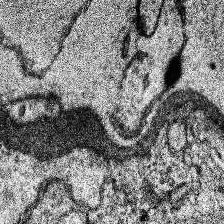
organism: Human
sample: Temporal Lobe